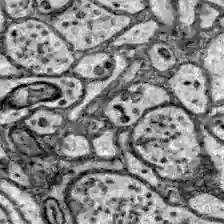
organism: Zebrafish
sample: Brain